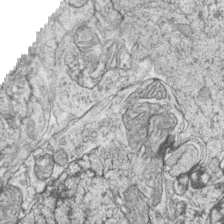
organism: Zebrafish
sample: synaptic ribbons in rod cells and cone cells